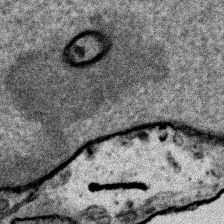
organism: Human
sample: Mitochondria in HCT116 cells